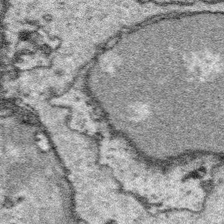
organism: Platynereis dumerilii